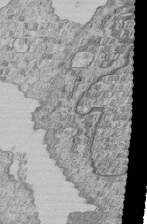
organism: Human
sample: MDA-MB-231 cells